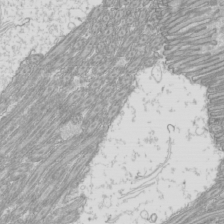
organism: Mouse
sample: Cilia; mouse epididymis